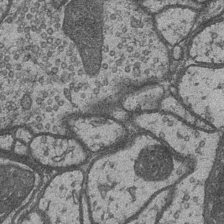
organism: Drosophila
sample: Optic medulla